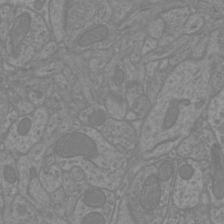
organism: Mouse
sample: Cortical neurons